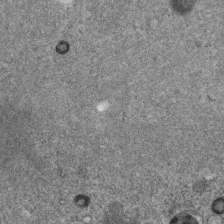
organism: C. elegans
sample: C. elegans embryo early stage